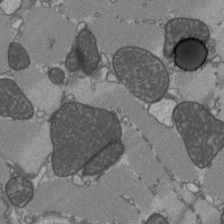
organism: C57BL Mouse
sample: Heart